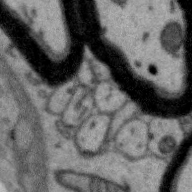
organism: Zebra finch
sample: Brain